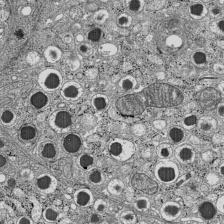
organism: C57BL Mouse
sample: Pancreatic islet